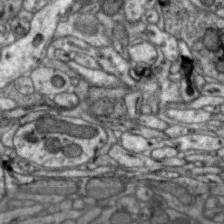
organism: Zebra finch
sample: Brain